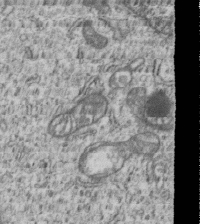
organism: Human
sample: MDA-MB-231 cells